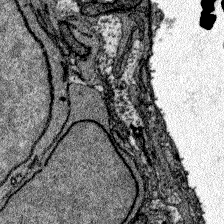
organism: Zebrafish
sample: Larval olfactory bulb